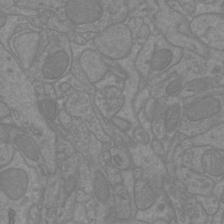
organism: Mouse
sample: Cortical neurons